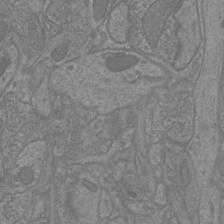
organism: Mouse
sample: Cortical neurons